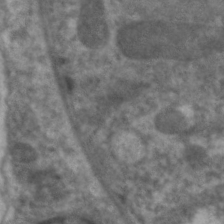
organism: C. elegans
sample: Pharynx